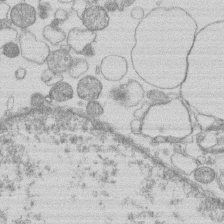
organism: Human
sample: Macrophage cells